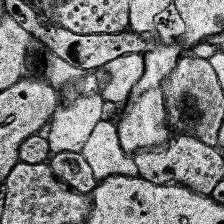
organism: Human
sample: Temporal Lobe